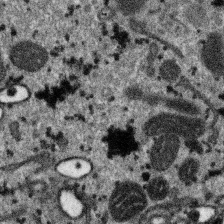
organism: Human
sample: Lung epithelial cells infected with SARS-CoV-2